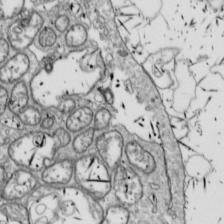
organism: Drosophila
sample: Cell division; meiosis; drosophila spermatocytes